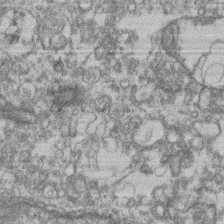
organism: Mouse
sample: T cell stromal cell synapse